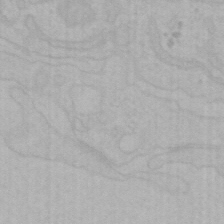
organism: Mouse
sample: Choroid plexus